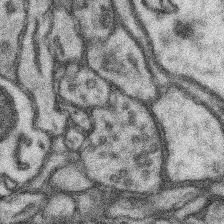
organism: Mouse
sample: Somatosensory cortex neuropil